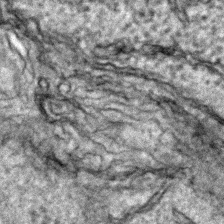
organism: Zebrafish